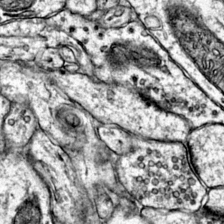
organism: Mouse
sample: Primary visual cortex